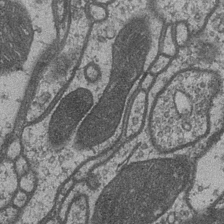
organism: Drosophila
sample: Optic medulla